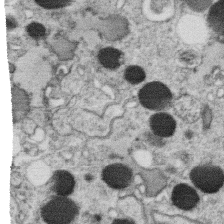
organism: C. elegans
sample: C. elegans oocyte; sperm cells